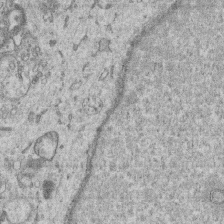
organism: Human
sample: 1205lu cells